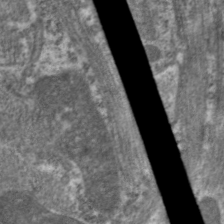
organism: C. elegans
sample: Pharynx